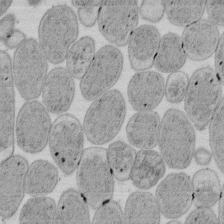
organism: E. coli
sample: Bacterial nucleoid